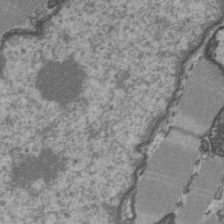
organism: C57BL Mouse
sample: Heart